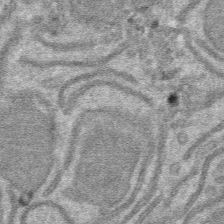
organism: Mouse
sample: Mouse hepatocytes